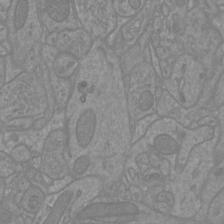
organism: Mouse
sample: Cortical neurons